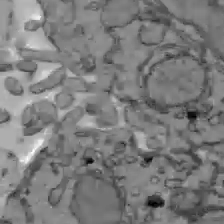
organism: C57BL Mouse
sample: Liver